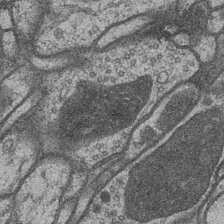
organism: Drosophila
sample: Optic medulla